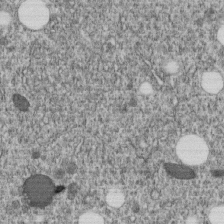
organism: C. elegans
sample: C. elegans embryo early stage